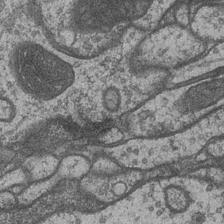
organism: Drosophila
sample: Optic medulla